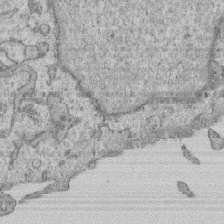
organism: Human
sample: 1205lu cells